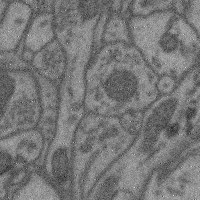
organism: Mouse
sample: Cerebral cortex